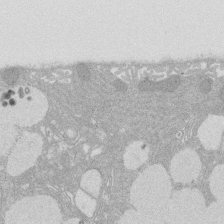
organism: Rat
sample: Salivary granule